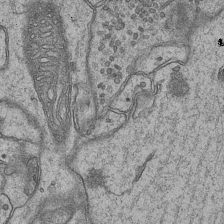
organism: Mouse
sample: CA1 Hippocampus